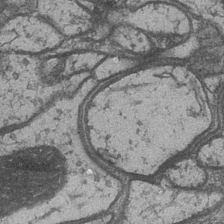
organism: Drosophila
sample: Optic medulla